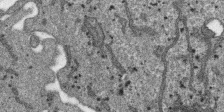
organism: Human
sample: Lung epithelial cells infected with SARS-CoV-2